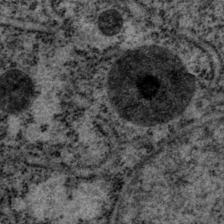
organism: P. pacificus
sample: Pharynx